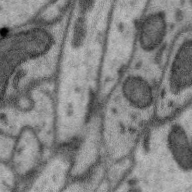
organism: Zebra finch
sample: Brain